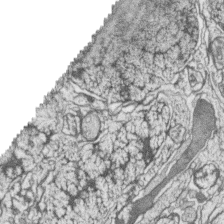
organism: Zebrafish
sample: synaptic ribbons in rod cells and cone cells